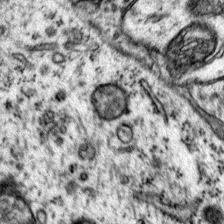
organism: Mouse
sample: Primary visual cortex